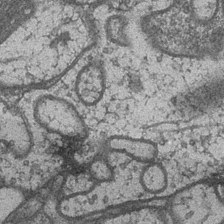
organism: Drosophila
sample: Optic medulla